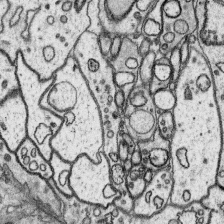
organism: Platynereis dumerilii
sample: Parapodia